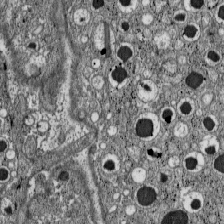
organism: C57BL Mouse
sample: Pancreatic islet